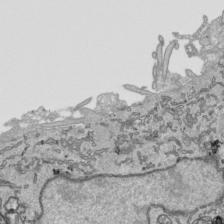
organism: Human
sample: Mitochondria in HCT116 cells